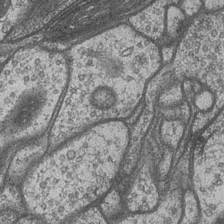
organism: Drosophila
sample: Optic medulla